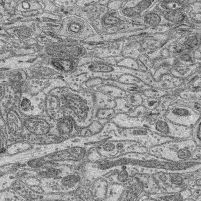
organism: Mouse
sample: Retina